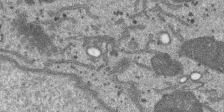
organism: Human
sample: Lung epithelial cells infected with SARS-CoV-2